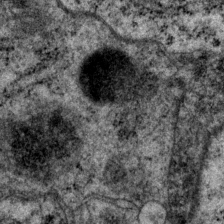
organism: P. pacificus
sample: Pharynx